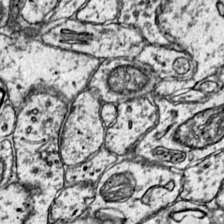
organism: Mouse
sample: Primary visual cortex